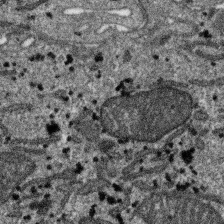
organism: Human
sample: Lung epithelial cells infected with SARS-CoV-2